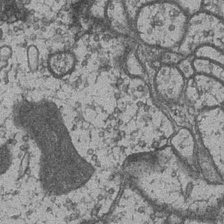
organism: Drosophila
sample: Optic medulla